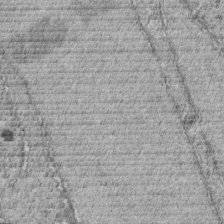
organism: C. elegans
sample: C. elegans embryo early stage